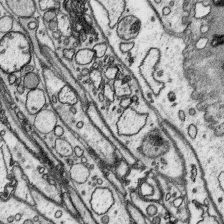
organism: Platynereis dumerilii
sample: Parapodia